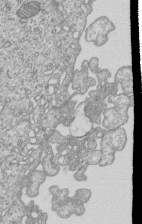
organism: Human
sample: MDA-MB-231 cells